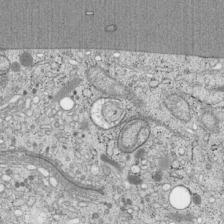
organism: African green monkey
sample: COS-7 cells